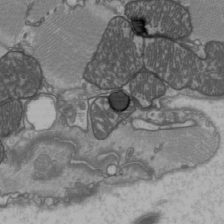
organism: C57BL Mouse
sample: Heart